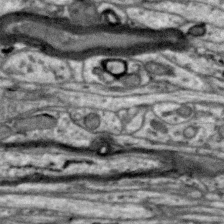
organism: Zebra finch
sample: Brain